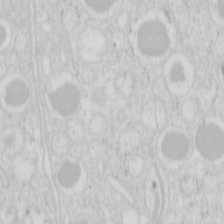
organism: Mouse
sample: Pancreas